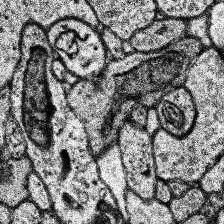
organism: Human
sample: Temporal Lobe